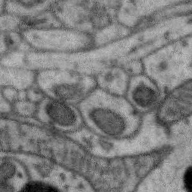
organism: Zebra finch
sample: Brain